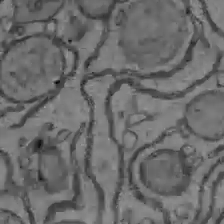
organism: C57BL Mouse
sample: Liver